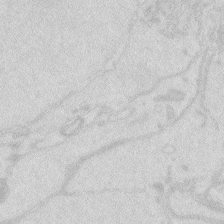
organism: Zebrafish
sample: Macrophage